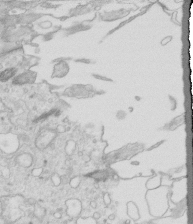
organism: Mouse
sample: Multiciliated cells